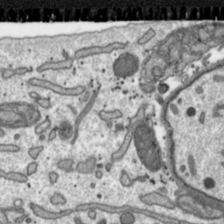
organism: Toxoplasma gondii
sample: Parasites in a vacuole inside a host cell